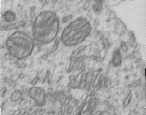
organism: Human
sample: Centriole in RPE cells